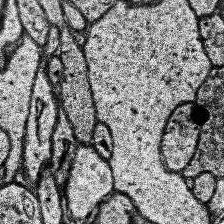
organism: Human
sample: Temporal Lobe